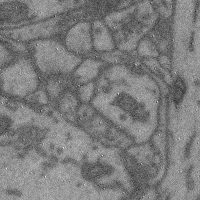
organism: Mouse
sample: Cerebral cortex